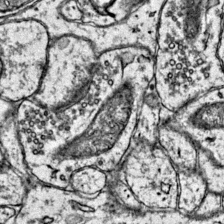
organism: Mouse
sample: Primary visual cortex